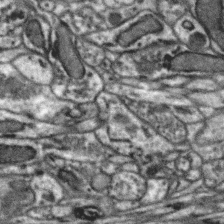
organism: Zebra finch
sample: Brain